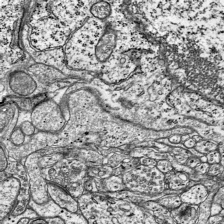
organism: Mouse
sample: Visual Cortex